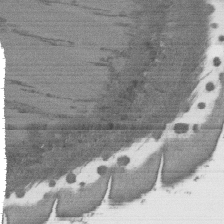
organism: C. elegans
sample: AFD neurons C. elegans